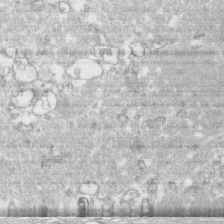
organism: Human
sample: CRL-1474